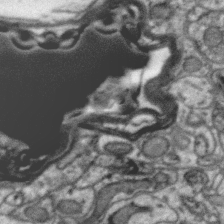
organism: Zebra finch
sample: Brain